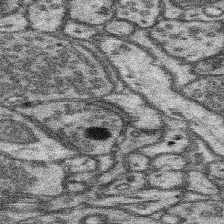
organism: Mouse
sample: Somatosensory cortex neuropil